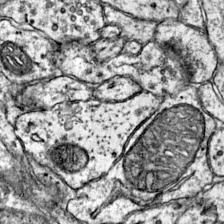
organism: Mouse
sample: Primary visual cortex